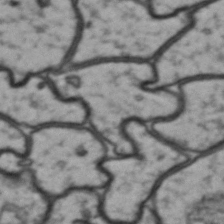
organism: Drosophila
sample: Brain